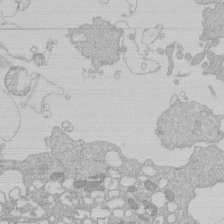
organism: Human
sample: Macrophage cells